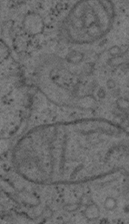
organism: Human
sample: HeLa cells